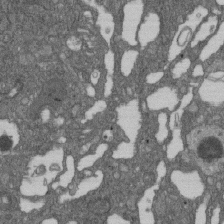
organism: Drosophila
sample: Nephrocyte